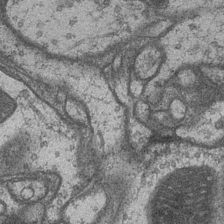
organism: Drosophila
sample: Optic medulla